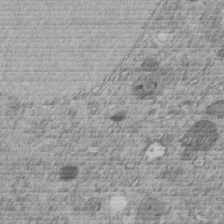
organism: C. elegans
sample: C. elegans embryo early stage